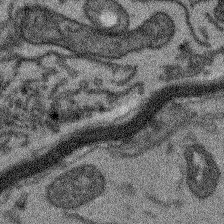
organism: Arabidopsis thaliana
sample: Root tip